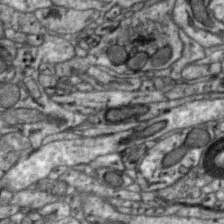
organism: Zebra finch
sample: Brain